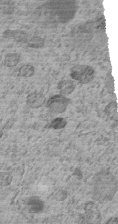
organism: C. elegans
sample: C. elegans embryo early stage